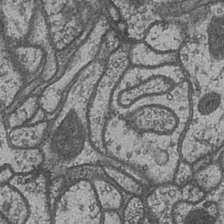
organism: Drosophila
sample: Optic medulla